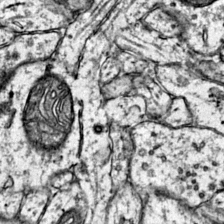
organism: Mouse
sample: Primary visual cortex